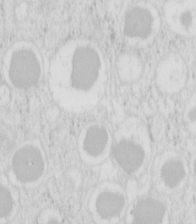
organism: Mouse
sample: Pancreas